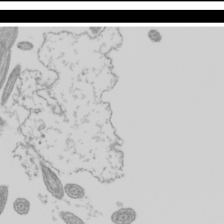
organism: Mouse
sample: Cilia; mouse epididymis